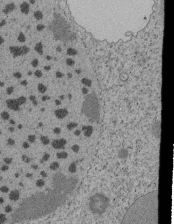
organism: Tetrahymena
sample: Cilia in tetrahymena